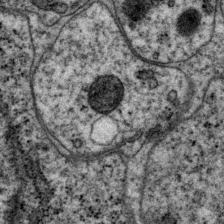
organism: P. pacificus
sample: Pharynx